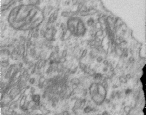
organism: Human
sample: Centriole in RPE cells